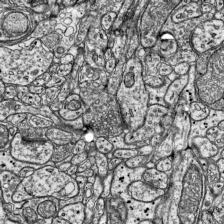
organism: Mouse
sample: Visual Cortex